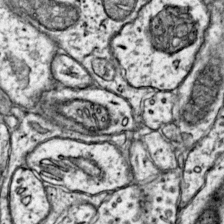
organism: Mouse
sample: Primary visual cortex